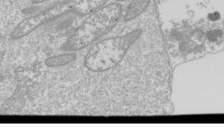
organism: Drosophila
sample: Cell division; meiosis; drosophila spermatocytes